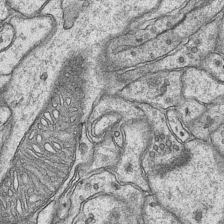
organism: Mouse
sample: CA1 Hippocampus